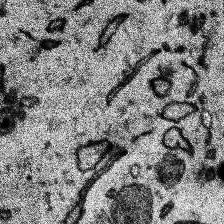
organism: Human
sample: Temporal Lobe